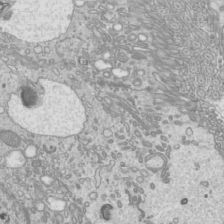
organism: Mouse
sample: Cilia; mouse epididymis